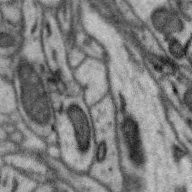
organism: Zebra finch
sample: Brain